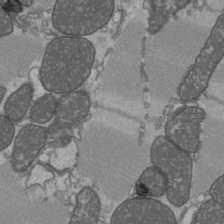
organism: C57BL Mouse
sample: Heart